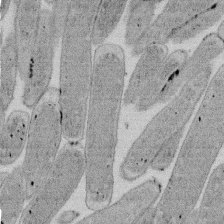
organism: E. coli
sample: Bacterial nucleoid